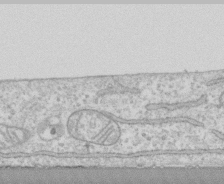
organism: Human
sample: CRL-1474